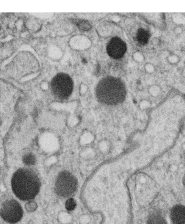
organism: C. elegans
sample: C. elegans oocyte; sperm cells